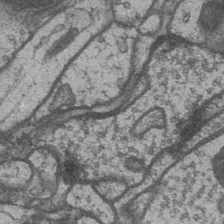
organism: Drosophila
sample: Optic medulla